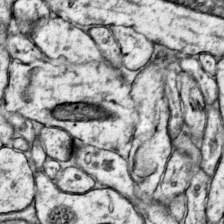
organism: Mouse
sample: Primary visual cortex